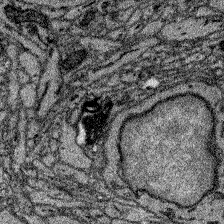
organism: Zebrafish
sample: Larval olfactory bulb